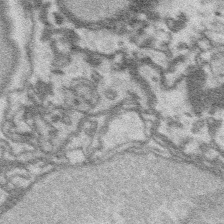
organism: Platynereis dumerilii